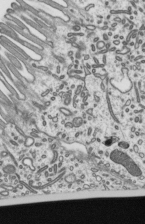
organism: Mouse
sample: Mouse epididymis efferent ductule cilia